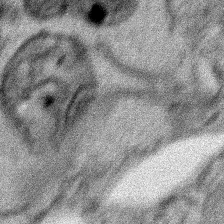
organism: Human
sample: Mitochondria in HCT116 cells